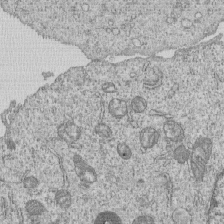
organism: Human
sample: MDA-MB-231 cells